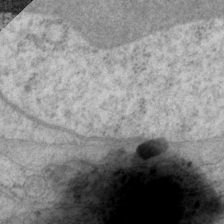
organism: P. pacificus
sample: Pharynx